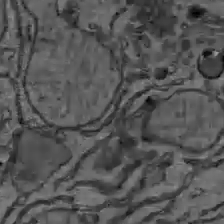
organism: C57BL Mouse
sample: Liver